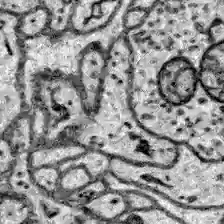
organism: Zebrafish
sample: Brain